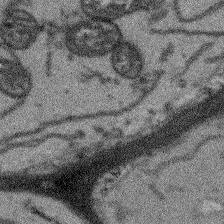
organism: Arabidopsis thaliana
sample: Root tip